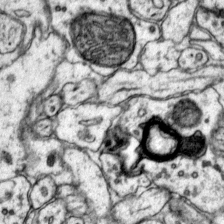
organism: Mouse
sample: Primary visual cortex